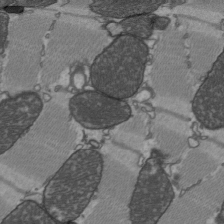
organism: C57BL Mouse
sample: Heart